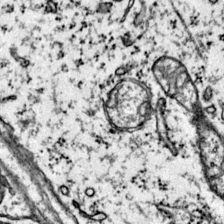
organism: Mouse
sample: Primary visual cortex